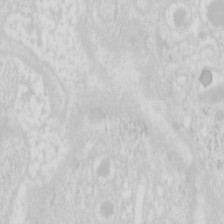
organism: Mouse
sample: Pancreas